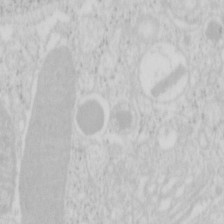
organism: Mouse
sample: Pancreas